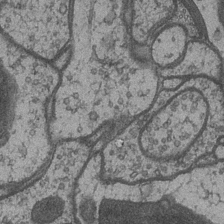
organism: Drosophila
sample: Optic medulla